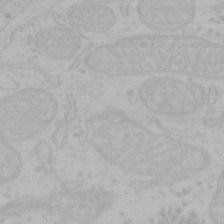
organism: Mouse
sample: Choroid plexus